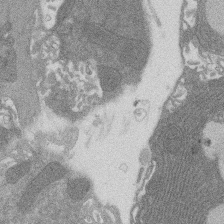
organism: Rat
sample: Salivary granule